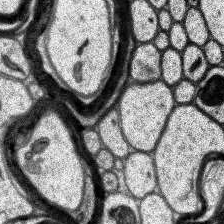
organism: Human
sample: Temporal Lobe